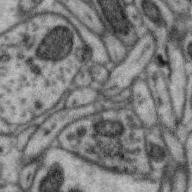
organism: Zebra finch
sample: Brain